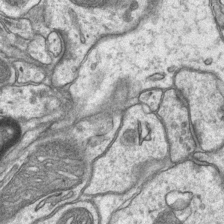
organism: Mouse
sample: CA1 Hippocampus